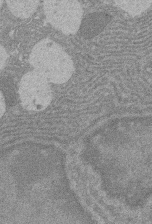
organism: Rat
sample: Salivary granule